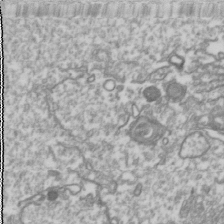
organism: Drosophila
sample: Cell division; meiosis; drosophila spermatocytes